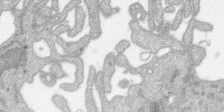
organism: Human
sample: Lung epithelial cells infected with SARS-CoV-2